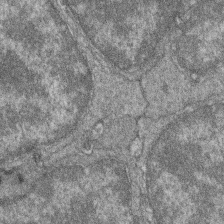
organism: Zebrafish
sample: Cilia; retinal pigment epithelium